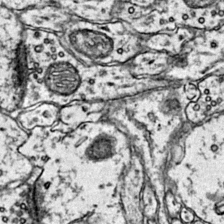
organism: Mouse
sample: Primary visual cortex